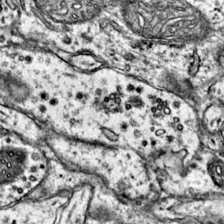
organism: Mouse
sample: Primary visual cortex